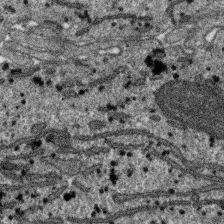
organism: Human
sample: Lung epithelial cells infected with SARS-CoV-2